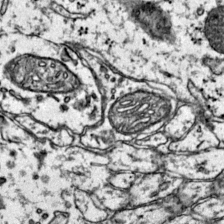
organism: Mouse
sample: Primary visual cortex